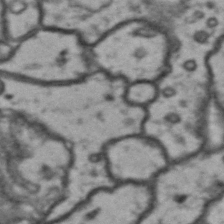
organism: Drosophila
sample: Brain